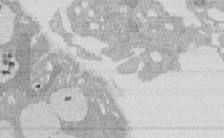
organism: Rat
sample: Salivary granule